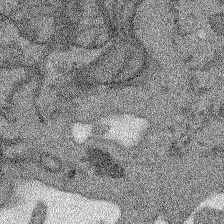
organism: Human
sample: HeLa cells